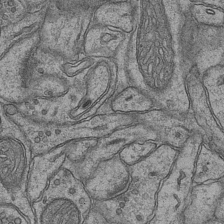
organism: Mouse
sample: CA1 Hippocampus